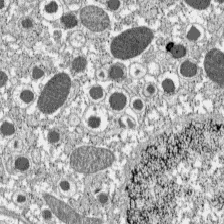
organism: C57BL Mouse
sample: Pancreatic islet